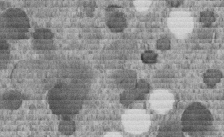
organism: C. elegans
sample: C. elegans embryo early stage